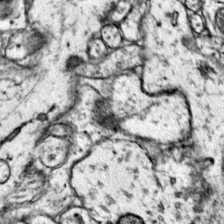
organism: Mouse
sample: Primary visual cortex